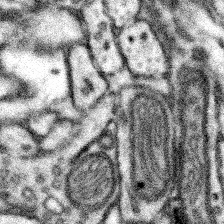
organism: Mouse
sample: Somatosensory cortex neuropil